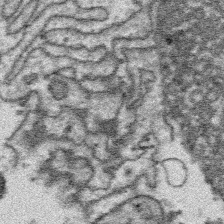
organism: Platynereis dumerilii